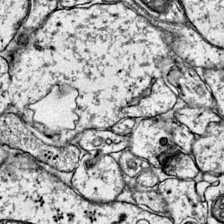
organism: Mouse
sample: Primary visual cortex